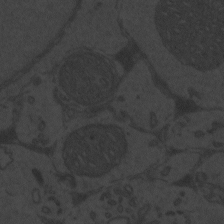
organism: Zebrafish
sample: Macrophage infected with Toxoplasma gondii